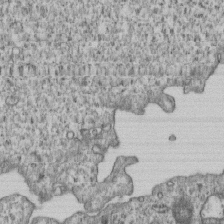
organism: Human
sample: MDA-MB-231 cells